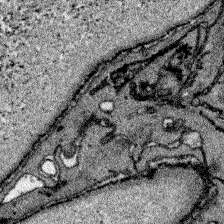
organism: Zebrafish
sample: Larval olfactory bulb